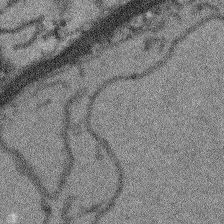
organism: Arabidopsis thaliana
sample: Root tip